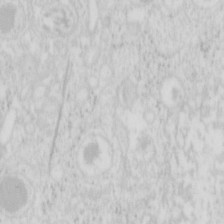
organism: Mouse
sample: Pancreas